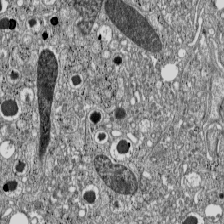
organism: C57BL Mouse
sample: Pancreatic islet